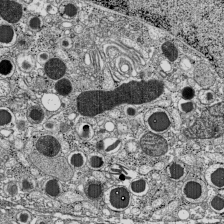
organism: C57BL Mouse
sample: Pancreatic islet